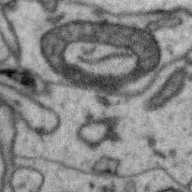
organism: Zebra finch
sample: Brain